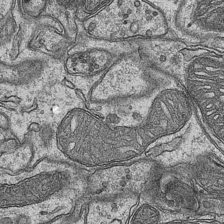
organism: Mouse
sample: CA1 Hippocampus